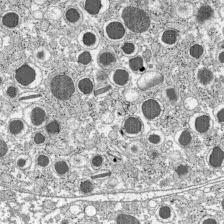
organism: C57BL Mouse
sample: Pancreatic islet